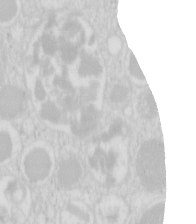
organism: Mouse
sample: Pancreas